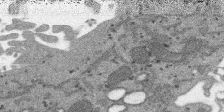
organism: Human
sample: Lung epithelial cells infected with SARS-CoV-2